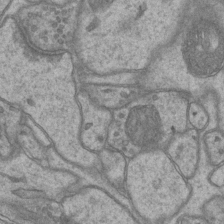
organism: Mouse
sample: CA1 Hippocampus